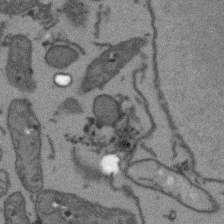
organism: Arabidopsis thaliana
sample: Root tip